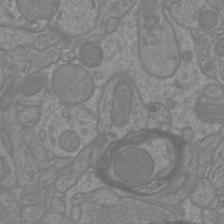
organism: Mouse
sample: Cortical neurons